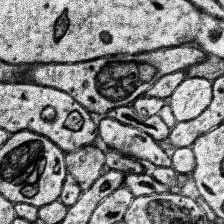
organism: Human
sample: Temporal Lobe